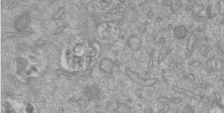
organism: Mouse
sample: ED-1 cell nuclei; centrioles